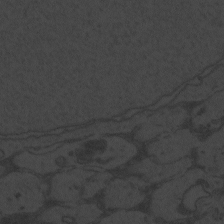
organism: Zebrafish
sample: Macrophage infected with Toxoplasma gondii